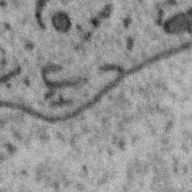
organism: Zebra finch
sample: Brain